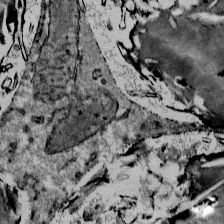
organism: Mouse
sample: Mouse Salivary gland